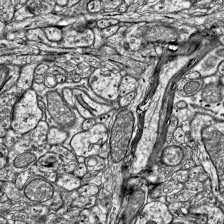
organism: Mouse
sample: Visual Cortex